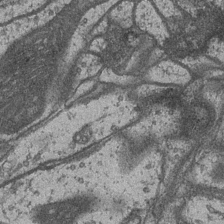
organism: Drosophila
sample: Optic medulla